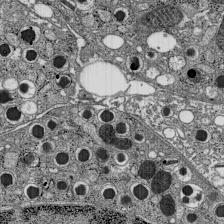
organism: C57BL Mouse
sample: Pancreatic islet